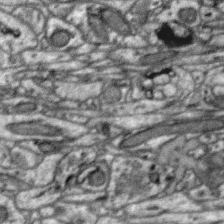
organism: Zebra finch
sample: Brain